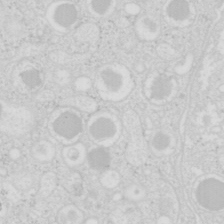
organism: Mouse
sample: Pancreas